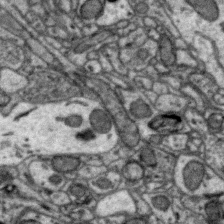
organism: Zebra finch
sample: Brain